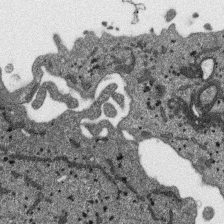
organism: Human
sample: Lung epithelial cells infected with SARS-CoV-2